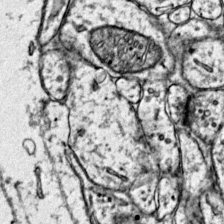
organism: Mouse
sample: Primary visual cortex